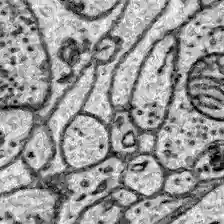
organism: Zebrafish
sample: Brain